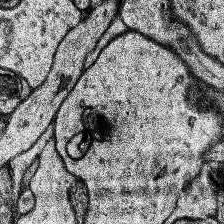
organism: Human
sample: Temporal Lobe